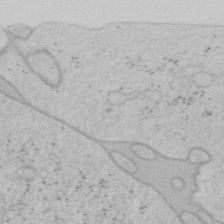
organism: Human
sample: HeLa cells